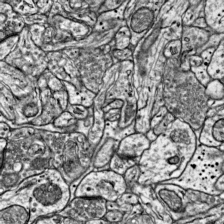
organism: Mouse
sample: Visual Cortex